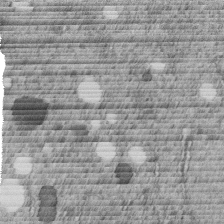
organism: C. elegans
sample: C. elegans embryo early stage